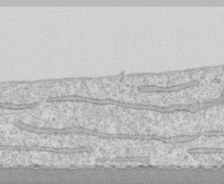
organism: Human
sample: CRL-1474